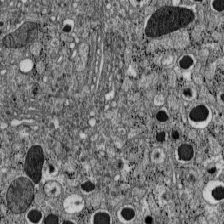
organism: C57BL Mouse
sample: Pancreatic islet